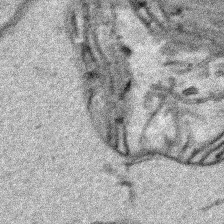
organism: Human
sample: Mitochondria in HCT116 cells